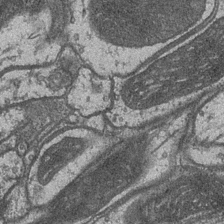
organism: Drosophila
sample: Optic medulla